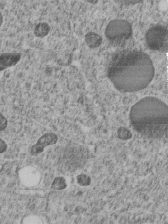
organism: C. elegans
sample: C. elegans embryo early stage